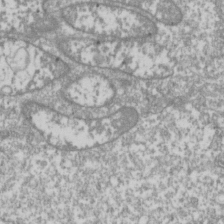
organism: Drosophila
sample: Cell division; meiosis; drosophila spermatocytes